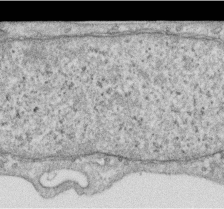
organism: Human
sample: Centriole in RPE cells